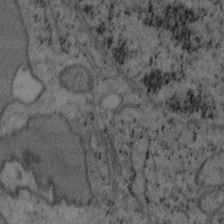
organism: Human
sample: HeLa cells